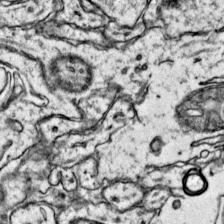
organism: Mouse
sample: Primary visual cortex